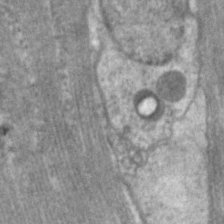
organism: C. elegans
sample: Pharynx